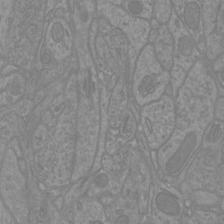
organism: Mouse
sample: Cortical neurons